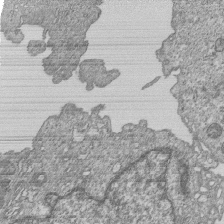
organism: Human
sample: MDA-MB-231 cells